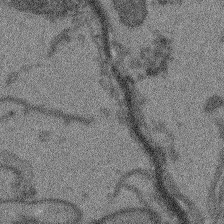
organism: Arabidopsis thaliana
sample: Root tip